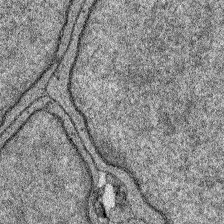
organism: Zebrafish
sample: Larval olfactory bulb